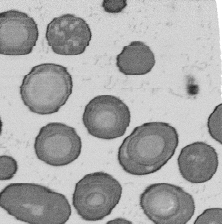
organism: B. subtilis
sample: Bacterial spore